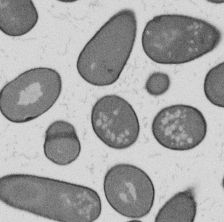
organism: B. subtilis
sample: Bacterial spore